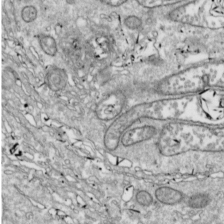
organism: Drosophila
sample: Cell division; meiosis; drosophila spermatocytes